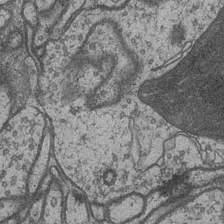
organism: Drosophila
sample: Optic medulla